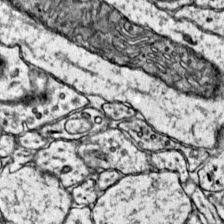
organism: Mouse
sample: Primary visual cortex